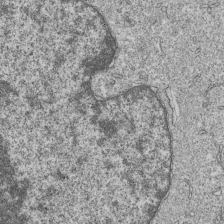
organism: Human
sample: MDA-MB-231 cells